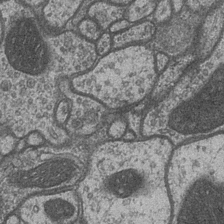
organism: Drosophila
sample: Optic medulla